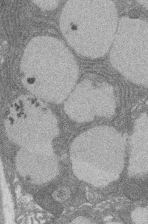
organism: Rat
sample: Salivary granule